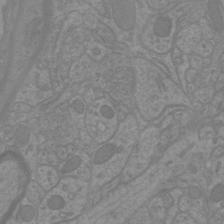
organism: Mouse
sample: Cortical neurons